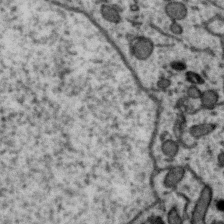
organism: Zebra finch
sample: Brain